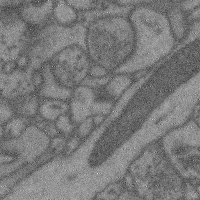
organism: Mouse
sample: Cerebral cortex